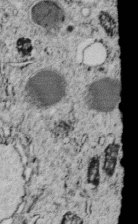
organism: C. elegans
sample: C. elegans embryo early stage